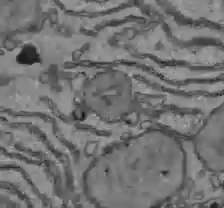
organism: C57BL Mouse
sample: Liver